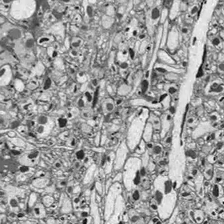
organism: Drosophila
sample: Optic lobe